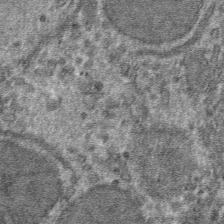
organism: Mouse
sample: Mouse hepatocytes